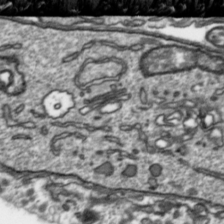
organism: Toxoplasma gondii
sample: Parasites in a vacuole inside a host cell